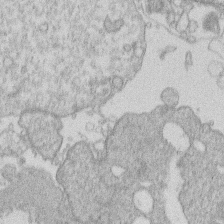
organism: Human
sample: Macrophage cells